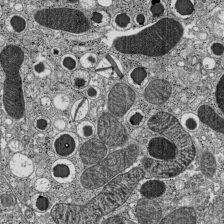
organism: C57BL Mouse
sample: Pancreatic islet